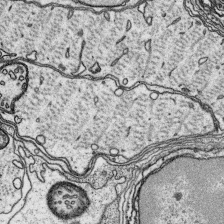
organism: Platynereis dumerilii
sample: Parapodia